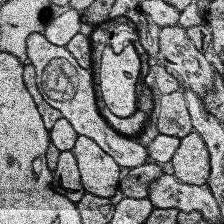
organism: Human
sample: Temporal Lobe